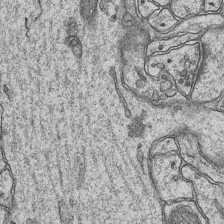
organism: Mouse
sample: CA1 Hippocampus